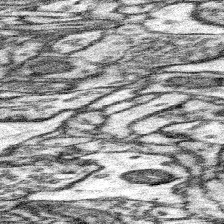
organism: Mouse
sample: Somatosensory cortex neuropil